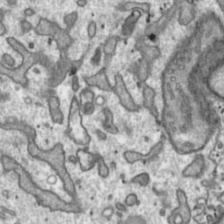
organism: Toxoplasma gondii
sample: Parasites in a vacuole inside a host cell